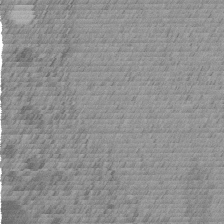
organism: C. elegans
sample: C. elegans embryo early stage